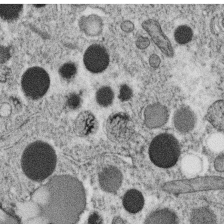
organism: C. elegans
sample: C. elegans oocyte; sperm cells